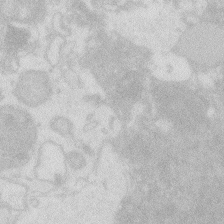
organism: Zebrafish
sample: Macrophage